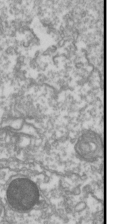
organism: Drosophila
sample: Cell division; meiosis; drosophila spermatocytes